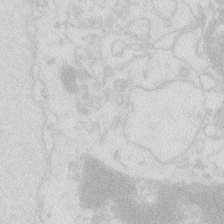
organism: Zebrafish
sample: Macrophage